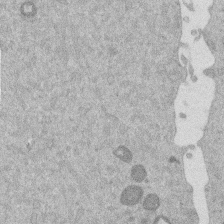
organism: Mouse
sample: Dividing mouse embryo 1 cell stage